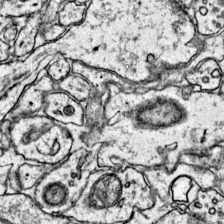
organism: Mouse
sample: Primary visual cortex